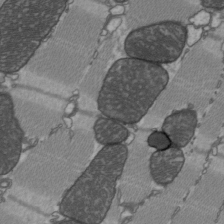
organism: C57BL Mouse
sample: Heart